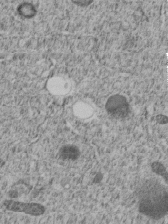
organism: C. elegans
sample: C. elegans embryo early stage